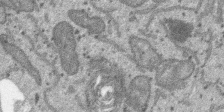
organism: Human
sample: Lung epithelial cells infected with SARS-CoV-2